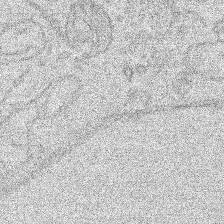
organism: Human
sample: Mitochondria in HCT116 cells